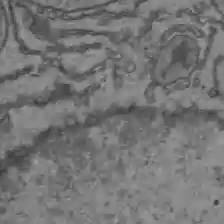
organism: C57BL Mouse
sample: Liver